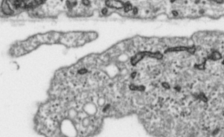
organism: Toxoplasma gondii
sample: Parasites in a vacuole inside a host cell